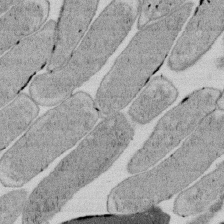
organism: E. coli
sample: Bacterial nucleoid